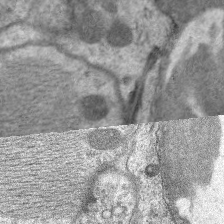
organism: C. elegans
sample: Pharynx